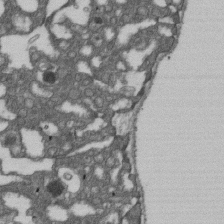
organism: Drosophila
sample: Nephrocyte